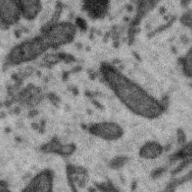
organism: Zebra finch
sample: Brain